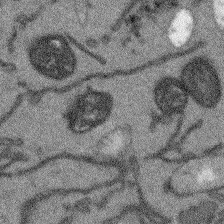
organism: Arabidopsis thaliana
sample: Root tip